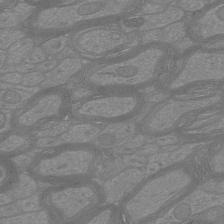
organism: Mouse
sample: Cortical neurons